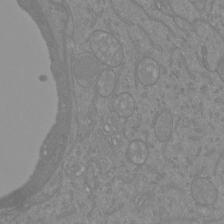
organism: Mouse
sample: Cortical neurons